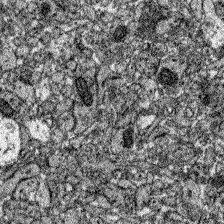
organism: Zebrafish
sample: Larval olfactory bulb